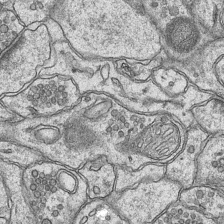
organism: Mouse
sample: CA1 Hippocampus